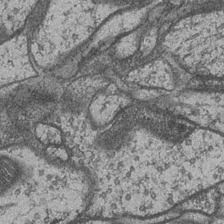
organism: Drosophila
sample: Optic medulla